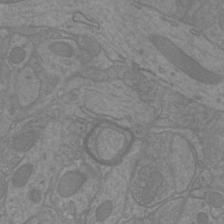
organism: Mouse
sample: Cortical neurons